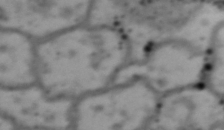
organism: Drosophila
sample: Brain